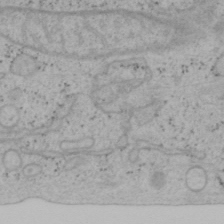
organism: Human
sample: HeLa cells